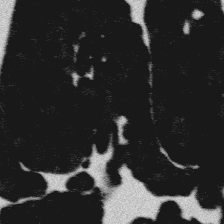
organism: Platynereis dumerilii